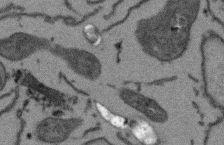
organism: Arabidopsis thaliana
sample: Root tip